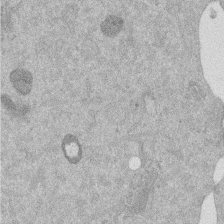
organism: Mouse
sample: Dividing mouse embryo 1 cell stage